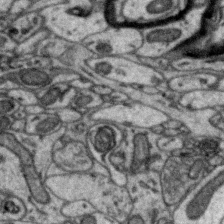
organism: Zebra finch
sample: Brain